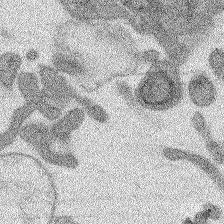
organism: Human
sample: HeLa cells